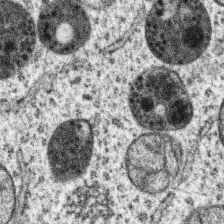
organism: Human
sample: HeLa cells